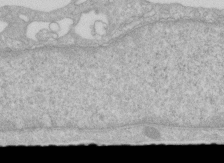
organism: Human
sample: Centriole in RPE cells